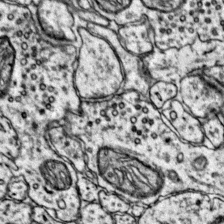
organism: Mouse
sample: Primary visual cortex